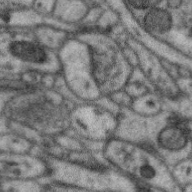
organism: Zebra finch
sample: Brain